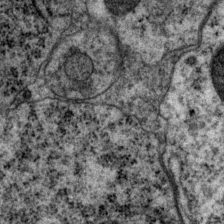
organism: P. pacificus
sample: Pharynx